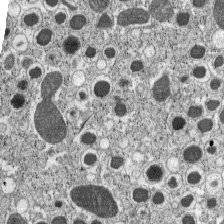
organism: C57BL Mouse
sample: Pancreatic islet